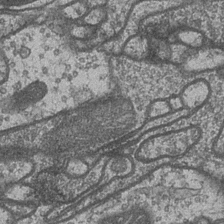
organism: Drosophila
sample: Optic medulla